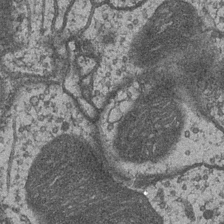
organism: Drosophila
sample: Optic medulla